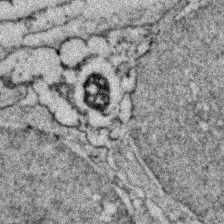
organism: Zebrafish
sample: Zebrafish embryo